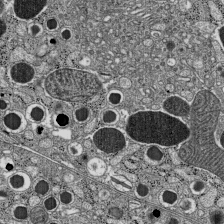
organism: C57BL Mouse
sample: Pancreatic islet